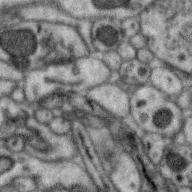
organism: Zebra finch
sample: Brain